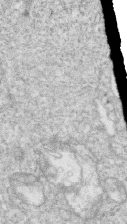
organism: Human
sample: HeLa cell HIV synapse